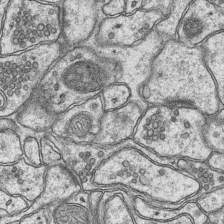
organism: Mouse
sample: CA1 Hippocampus